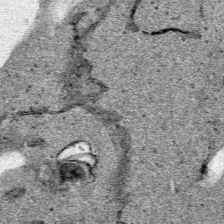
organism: Human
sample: Mitochondria in HCT116 cells